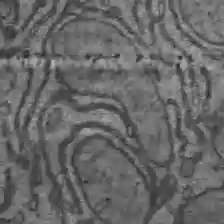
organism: C57BL Mouse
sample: Liver